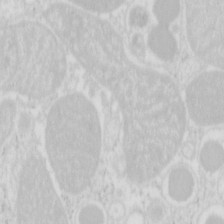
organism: Mouse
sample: Pancreas